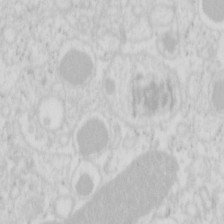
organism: Mouse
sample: Pancreas